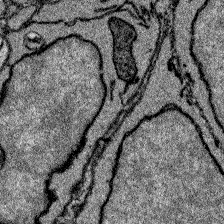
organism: Zebrafish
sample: Larval olfactory bulb